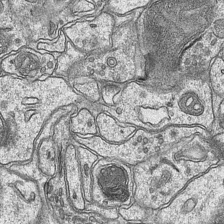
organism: Mouse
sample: CA1 Hippocampus